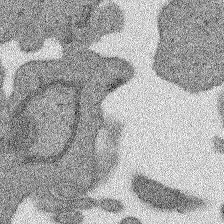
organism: Human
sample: HeLa cells